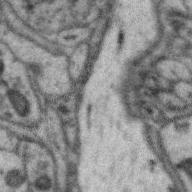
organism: Zebra finch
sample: Brain